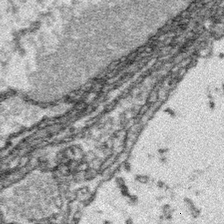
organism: Platynereis dumerilii